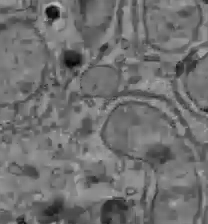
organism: C57BL Mouse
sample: Liver